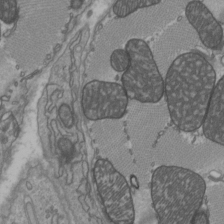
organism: C57BL Mouse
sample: Heart